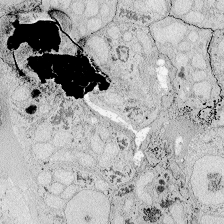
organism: Zebrafish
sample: Whole-Brain